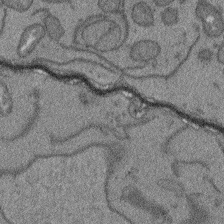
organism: Arabidopsis thaliana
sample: Root tip